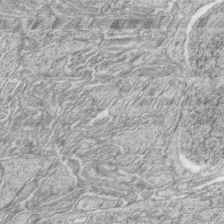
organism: Zebrafish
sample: synaptic ribbons in rod cells and cone cells